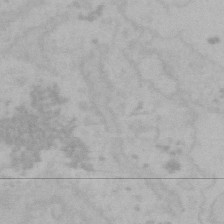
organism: Mouse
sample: Choroid plexus